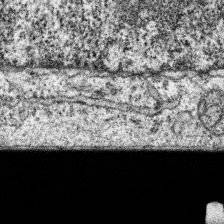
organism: Human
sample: HeLa cells